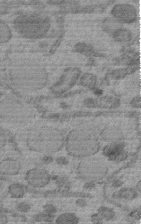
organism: C. elegans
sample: C. elegans embryo early stage